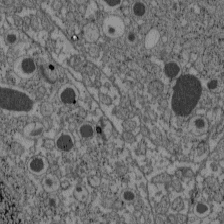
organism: C57BL Mouse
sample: Pancreatic islet